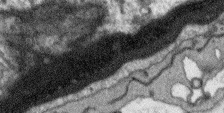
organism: Arabidopsis thaliana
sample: Root tip